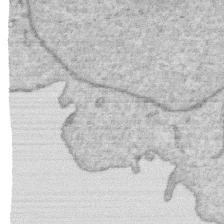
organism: Human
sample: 1205lu cells